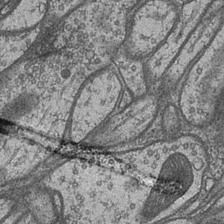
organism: Drosophila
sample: Optic medulla